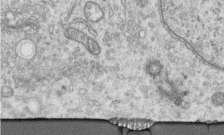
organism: Human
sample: Centriole in RPE cells